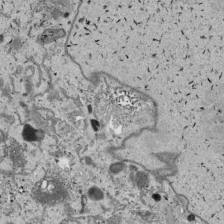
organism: Human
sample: Mitochondria in HCT116 cells